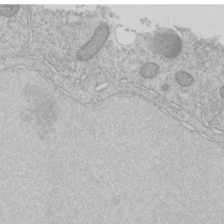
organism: C. elegans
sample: C. elegans embryo early stage